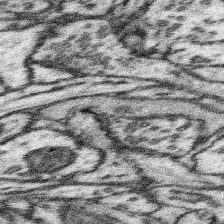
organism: Mouse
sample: Somatosensory cortex neuropil